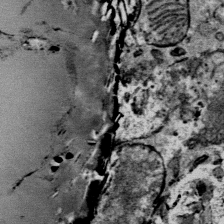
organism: Mouse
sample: Mouse Salivary gland